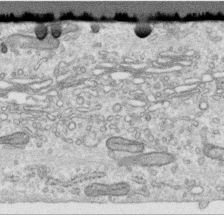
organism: Human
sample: Centriole in RPE cells